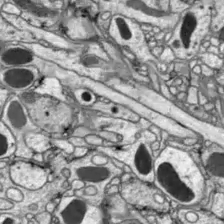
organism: Drosophila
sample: Optic lobe